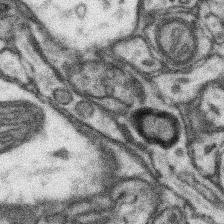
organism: Mouse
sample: Somatosensory cortex neuropil